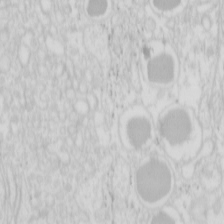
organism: Mouse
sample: Pancreas